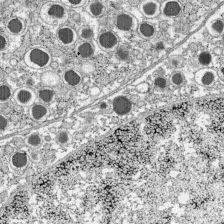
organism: C57BL Mouse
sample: Pancreatic islet